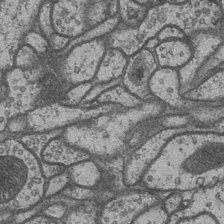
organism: Drosophila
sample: Optic medulla